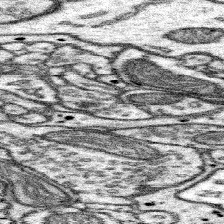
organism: Mouse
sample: Somatosensory cortex neuropil